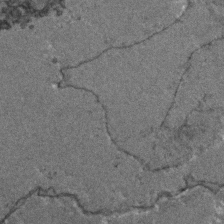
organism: Zebrafish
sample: Zebrafish embryo